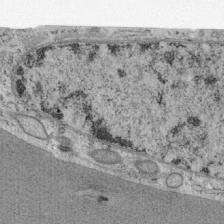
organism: Human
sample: HeLa cells